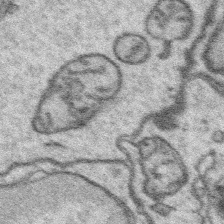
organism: Platynereis dumerilii